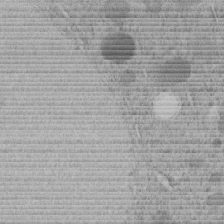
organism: C. elegans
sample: C. elegans embryo early stage